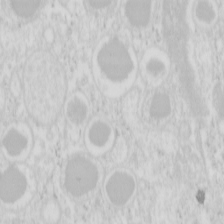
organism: Mouse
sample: Pancreas